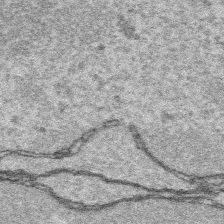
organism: Platynereis dumerilii